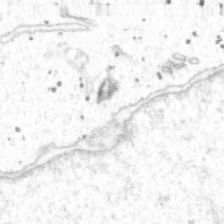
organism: Human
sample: HeLa cells